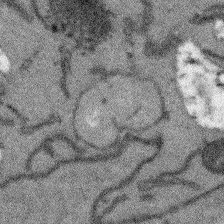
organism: Arabidopsis thaliana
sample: Root tip